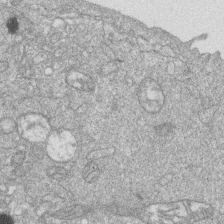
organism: Human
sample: HeLa cell HIV synapse